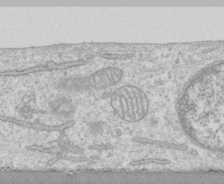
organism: Human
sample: CRL-1474